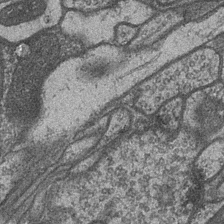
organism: Drosophila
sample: Optic medulla